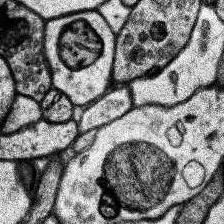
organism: Human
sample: Temporal Lobe